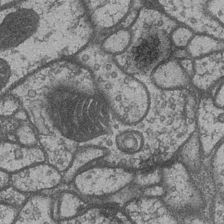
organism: Drosophila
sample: Optic medulla